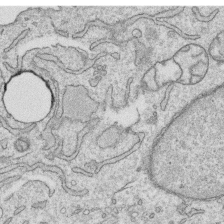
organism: Human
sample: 1205lu cells